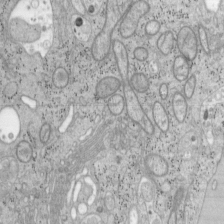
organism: Mouse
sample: OT-I killer T cells with ID8 ovarian cancer cells